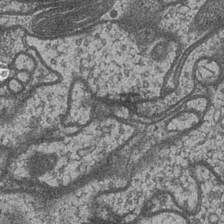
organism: Drosophila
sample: Optic medulla